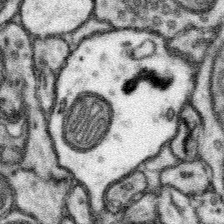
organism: Mouse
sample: Somatosensory cortex neuropil